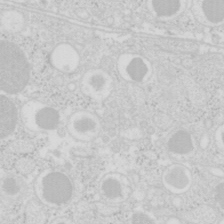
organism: Mouse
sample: Pancreas